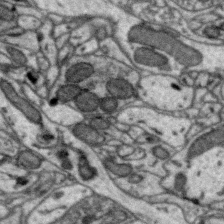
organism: Zebra finch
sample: Brain